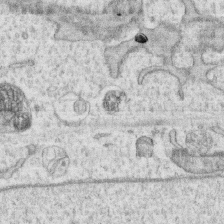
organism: Human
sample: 1205lu cells